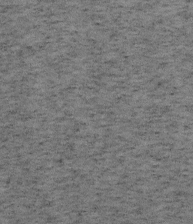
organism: Mouse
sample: OT-I killer T cells with ID8 ovarian cancer cells